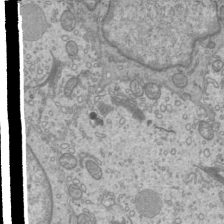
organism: Mouse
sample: Cilia; mouse epididymis